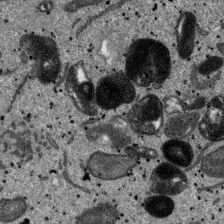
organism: Human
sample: Lung epithelial cells, uninfected (mock) control